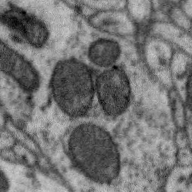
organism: Zebra finch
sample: Brain